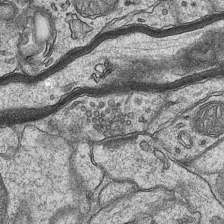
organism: Mouse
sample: CA1 Hippocampus